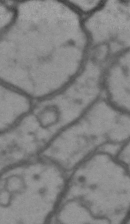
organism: Drosophila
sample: Brain